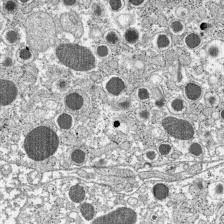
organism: C57BL Mouse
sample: Pancreatic islet